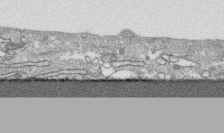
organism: Human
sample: CRL-1474